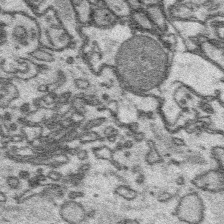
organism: Platynereis dumerilii